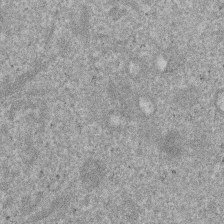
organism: Mouse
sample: Dividing mouse embryo 1 cell stage